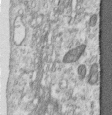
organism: Human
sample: Centriole in RPE cells